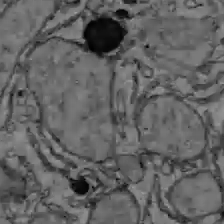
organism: C57BL Mouse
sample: Liver